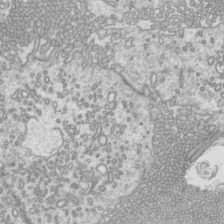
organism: Mouse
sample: Cilia; mouse epididymis